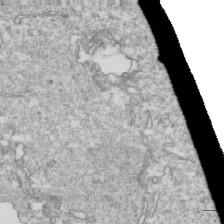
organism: Mouse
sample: Activated OT-1 CD8+ T cells